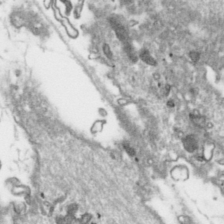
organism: Toxoplasma gondii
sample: Parasites in a vacuole inside a host cell